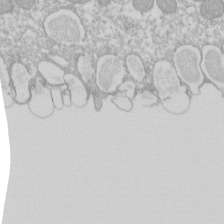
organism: Xenopus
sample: Cilia; centrioles in frog embryo cells